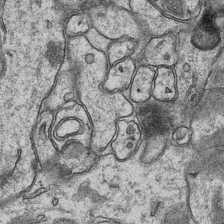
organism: Mouse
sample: CA1 Hippocampus